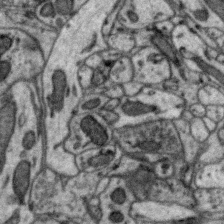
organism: Zebra finch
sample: Brain